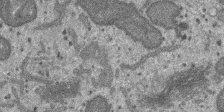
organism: Human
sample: Lung epithelial cells infected with SARS-CoV-2